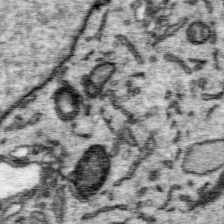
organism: Human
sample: HeLa cells